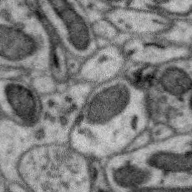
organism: Zebra finch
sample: Brain